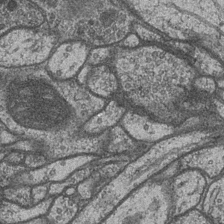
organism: Drosophila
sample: Optic medulla